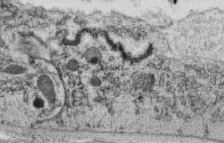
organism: C. elegans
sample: C. elegans oocyte; sperm cells